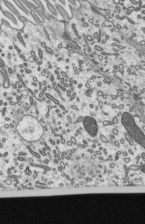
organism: Mouse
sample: Mouse epididymis efferent ductule cilia